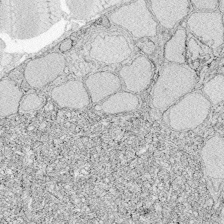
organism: Zebrafish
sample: Whole-Brain